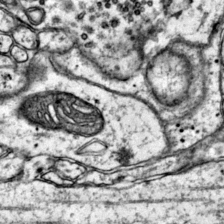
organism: Mouse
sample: Primary visual cortex